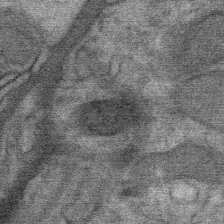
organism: Mouse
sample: Mouse Salivary gland